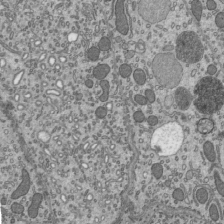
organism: Mouse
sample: Mouse epididymis efferent ductule cilia